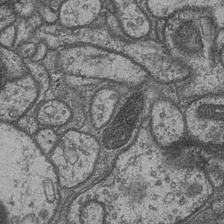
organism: Drosophila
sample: Optic medulla